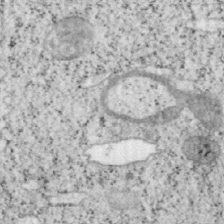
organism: Mouse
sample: OT-I killer T cells with ID8 ovarian cancer cells